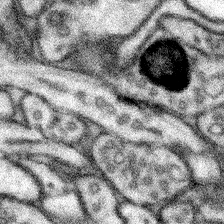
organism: Mouse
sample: Somatosensory cortex neuropil